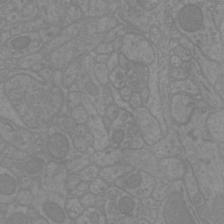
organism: Mouse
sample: Cortical neurons